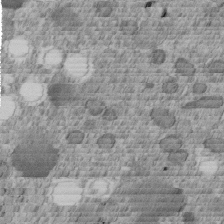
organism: C. elegans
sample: C. elegans embryo early stage